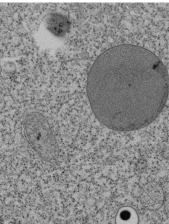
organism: Tetrahymena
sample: Cilia in tetrahymena